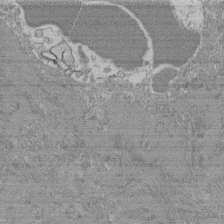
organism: Mouse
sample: Glomerulus